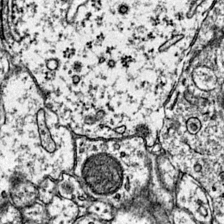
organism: Mouse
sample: Primary visual cortex